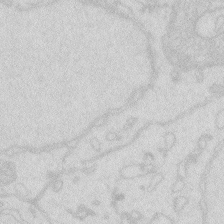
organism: Zebrafish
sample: Macrophage